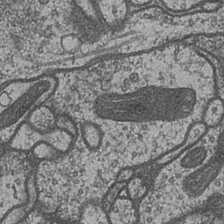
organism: Drosophila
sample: Optic medulla